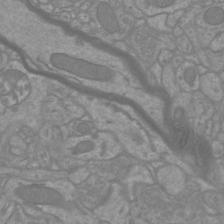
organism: Mouse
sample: Cortical neurons